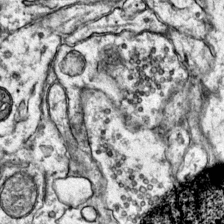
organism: Mouse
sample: Primary visual cortex